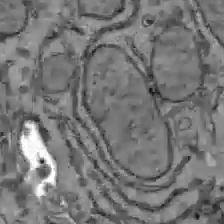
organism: C57BL Mouse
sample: Liver